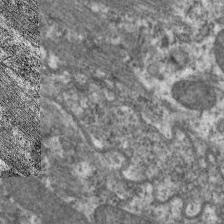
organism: C. elegans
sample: Pharynx